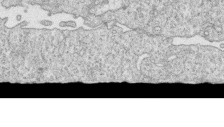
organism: Human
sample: HeLa cell HIV synapse